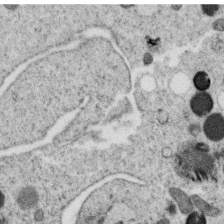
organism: C. elegans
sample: C. elegans oocyte; sperm cells